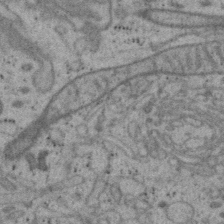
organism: Human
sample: HeLa cells